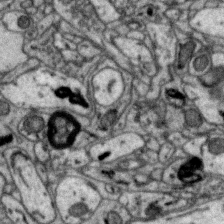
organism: Zebra finch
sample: Brain